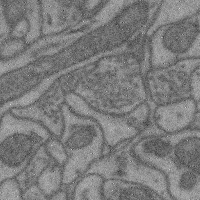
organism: Mouse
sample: Cerebral cortex